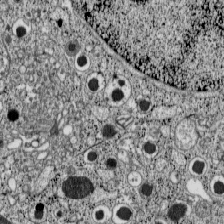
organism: C57BL Mouse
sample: Pancreatic islet